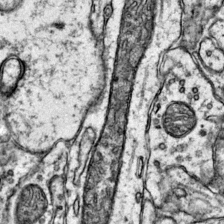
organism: Mouse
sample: Primary visual cortex